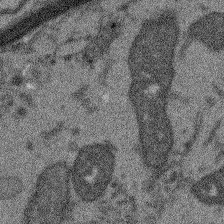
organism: Arabidopsis thaliana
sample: Root tip